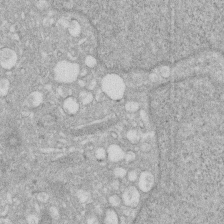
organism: Human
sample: HIV infected U937 cells